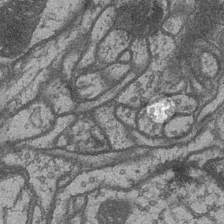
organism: Drosophila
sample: Optic medulla